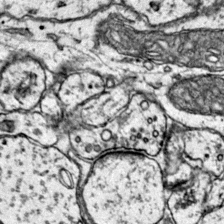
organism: Mouse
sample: Primary visual cortex